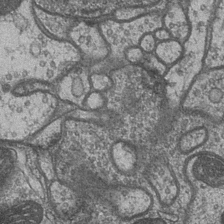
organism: Drosophila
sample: Optic medulla